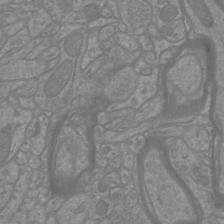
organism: Mouse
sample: Cortical neurons